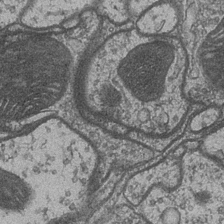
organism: Drosophila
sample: Optic medulla